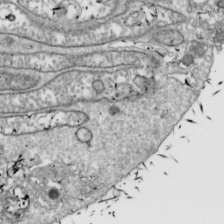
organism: Drosophila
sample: Cell division; meiosis; drosophila spermatocytes